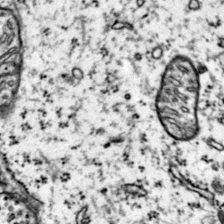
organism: Mouse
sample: Primary visual cortex